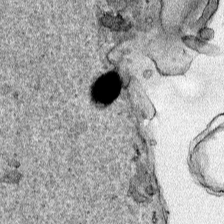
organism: Human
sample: Mitochondria in HCT116 cells